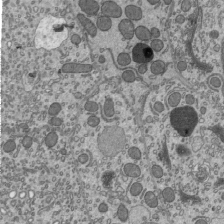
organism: Mouse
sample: Mouse epididymis efferent ductule cilia